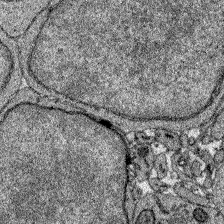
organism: Zebrafish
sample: Larval olfactory bulb